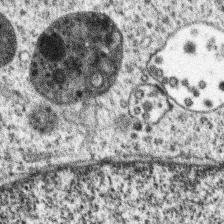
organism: Human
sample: HeLa cells